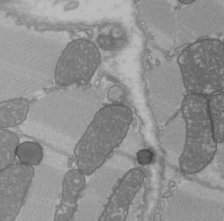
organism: C57BL Mouse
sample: Heart